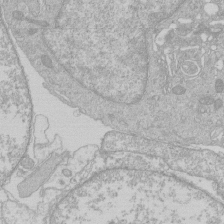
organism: Human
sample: Macrophage cells